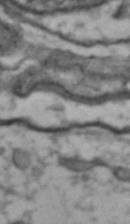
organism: Drosophila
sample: Brain